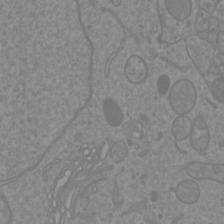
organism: Mouse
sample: Cortical neurons